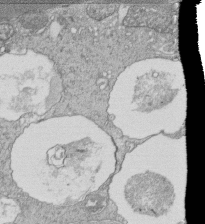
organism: Tetrahymena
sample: Cilia in tetrahymena